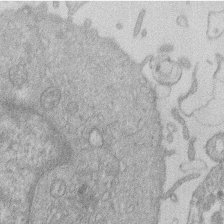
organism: Human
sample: Macrophage cells